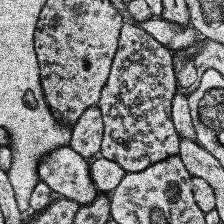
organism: Human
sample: Temporal Lobe